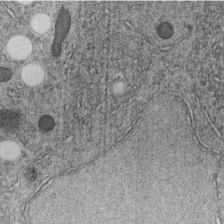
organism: C. elegans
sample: C. elegans embryo early stage